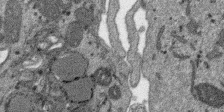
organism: Human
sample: Lung epithelial cells infected with SARS-CoV-2